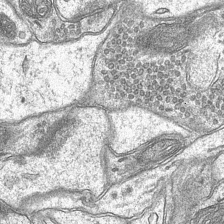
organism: Mouse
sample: CA1 Hippocampus